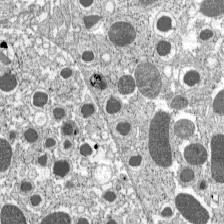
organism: C57BL Mouse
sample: Pancreatic islet